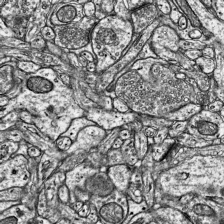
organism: Mouse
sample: Visual Cortex